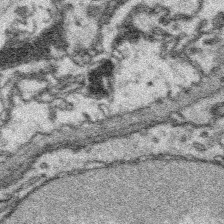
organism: Platynereis dumerilii